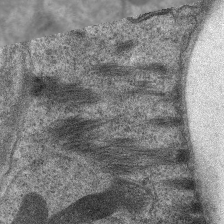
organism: C. elegans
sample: Pharynx